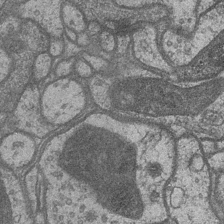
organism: Drosophila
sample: Optic medulla